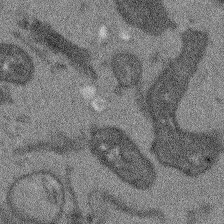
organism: Arabidopsis thaliana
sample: Root tip